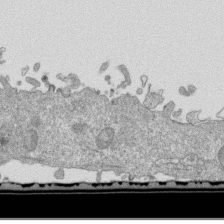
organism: Human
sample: HeLa cell HIV synapse